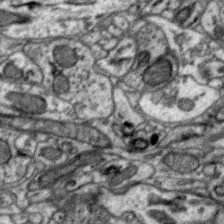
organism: Zebra finch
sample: Brain